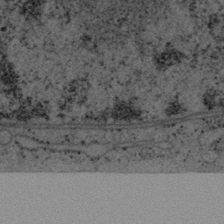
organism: Human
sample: HeLa cells